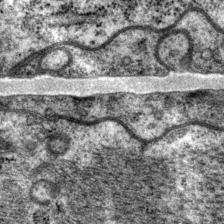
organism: P. pacificus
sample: Pharynx